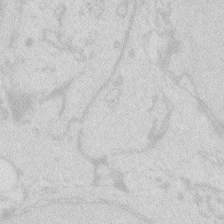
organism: Zebrafish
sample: Macrophage